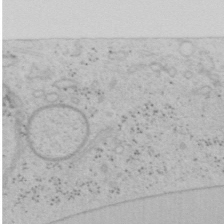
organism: Human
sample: HeLa cells